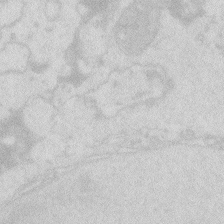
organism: Zebrafish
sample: Macrophage